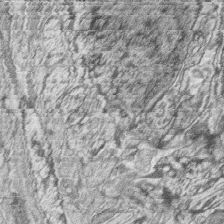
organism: Zebrafish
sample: synaptic ribbons in rod cells and cone cells